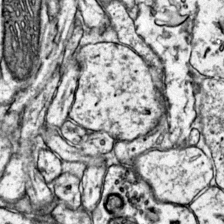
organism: Mouse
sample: Primary visual cortex